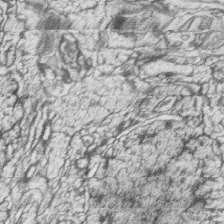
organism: Zebrafish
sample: synaptic ribbons in rod cells and cone cells